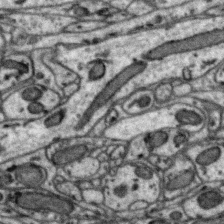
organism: Zebra finch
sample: Brain